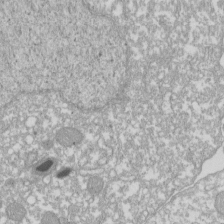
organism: Xenopus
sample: Cilia; centrioles in frog embryo cells